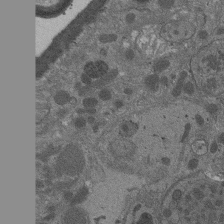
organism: Drosophila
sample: Antenna